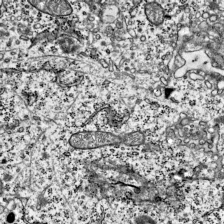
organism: Mouse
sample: Visual Cortex